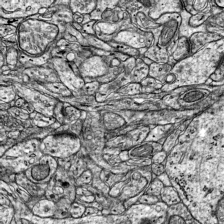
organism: Mouse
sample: Visual Cortex